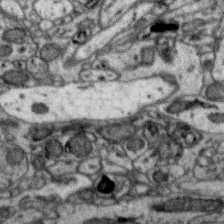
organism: Zebra finch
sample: Brain